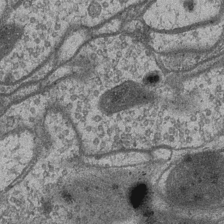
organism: Drosophila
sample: Optic medulla